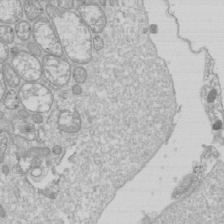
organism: Drosophila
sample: Cell division; meiosis; drosophila spermatocytes